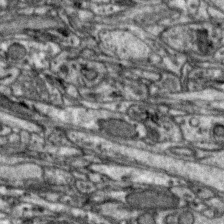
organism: Zebra finch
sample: Brain